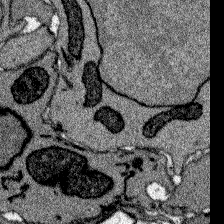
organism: Zebrafish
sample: Larval olfactory bulb